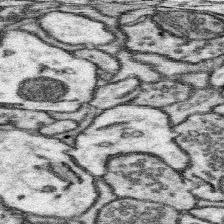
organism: Mouse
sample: Somatosensory cortex neuropil